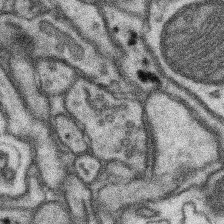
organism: Mouse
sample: Somatosensory cortex neuropil